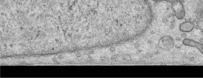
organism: Human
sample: Centriole in RPE cells